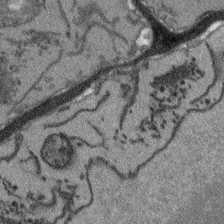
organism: Arabidopsis thaliana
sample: Root tip